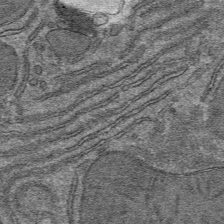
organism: Mouse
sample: Mouse hepatocytes